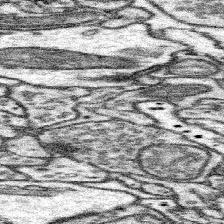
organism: Mouse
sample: Somatosensory cortex neuropil